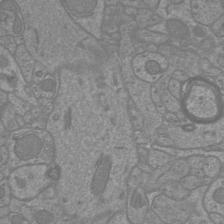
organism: Mouse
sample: Cortical neurons